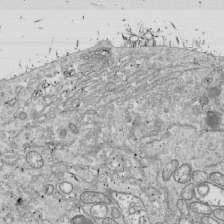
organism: Drosophila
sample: Cell division; meiosis; drosophila spermatocytes